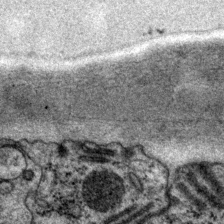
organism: P. pacificus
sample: Pharynx